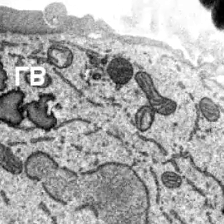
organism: Human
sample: HeLa cells